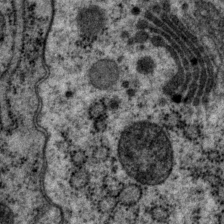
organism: P. pacificus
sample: Pharynx